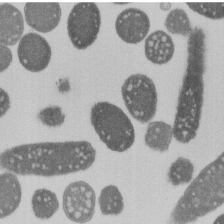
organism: E. coli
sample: Bacterial nucleoid